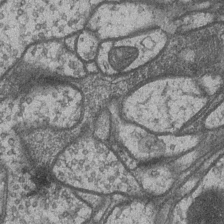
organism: Drosophila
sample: Optic medulla